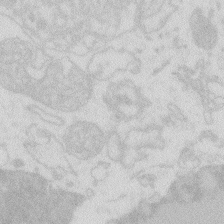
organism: Zebrafish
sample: Macrophage